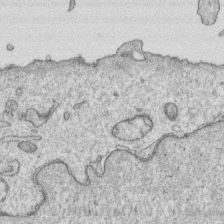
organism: Human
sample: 1205lu cells